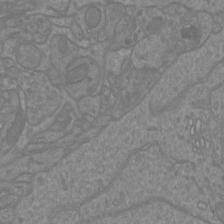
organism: Mouse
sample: Cortical neurons